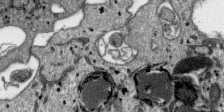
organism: Human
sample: Lung epithelial cells, uninfected (mock) control